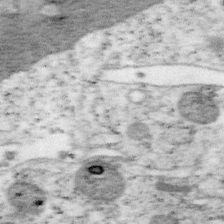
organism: Mouse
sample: OT-I killer T cells with ID8 ovarian cancer cells